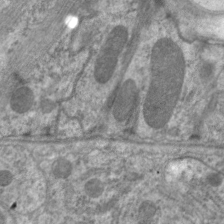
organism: C. elegans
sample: Pharynx